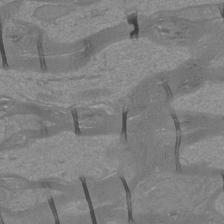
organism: Mouse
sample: Cortical neurons